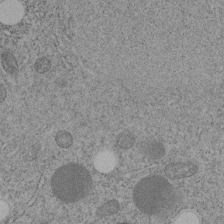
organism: C. elegans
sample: C. elegans embryo early stage